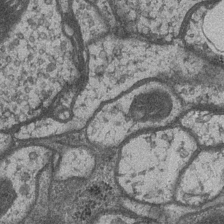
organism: Drosophila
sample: Optic medulla